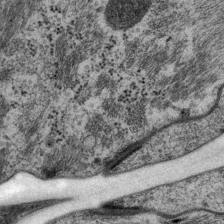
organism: P. pacificus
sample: Pharynx